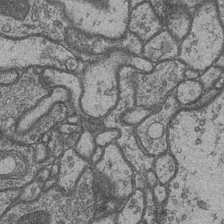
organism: Drosophila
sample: Optic medulla